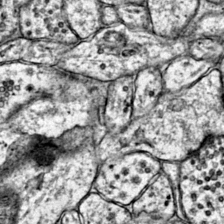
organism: Mouse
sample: Primary visual cortex